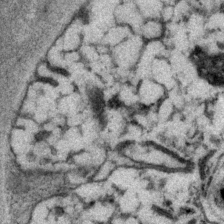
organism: P. pacificus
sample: Pharynx